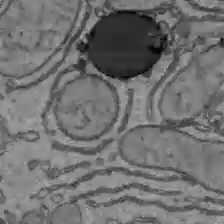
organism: C57BL Mouse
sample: Liver